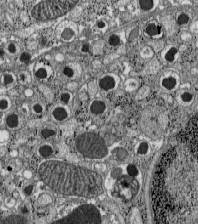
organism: C57BL Mouse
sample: Pancreatic islet